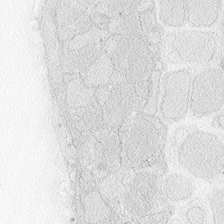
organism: Zebrafish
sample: Whole-Brain